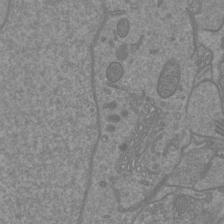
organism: Mouse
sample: Cortical neurons